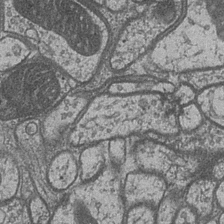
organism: Drosophila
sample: Optic medulla